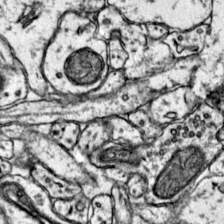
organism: Mouse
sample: Primary visual cortex